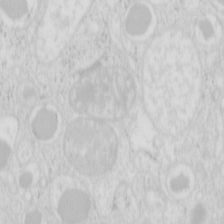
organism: Mouse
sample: Pancreas